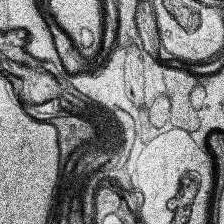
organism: Human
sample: Temporal Lobe